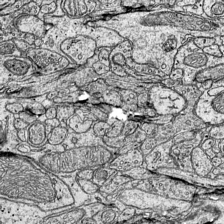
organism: Mouse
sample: Visual Cortex